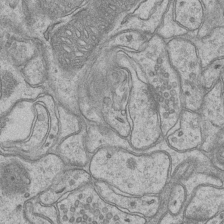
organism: Mouse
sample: CA1 Hippocampus